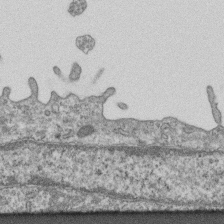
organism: Mouse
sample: Centriole in ependymal cells